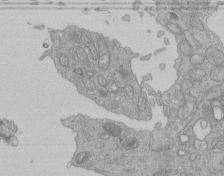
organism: Human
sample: Retinal organoid Rod and Cone cells